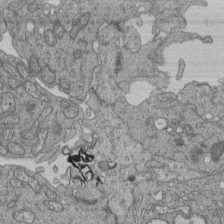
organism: Human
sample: Retinal organoid Rod and Cone cells